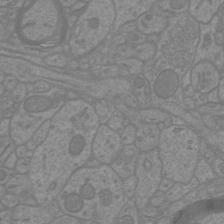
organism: Mouse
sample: Cortical neurons